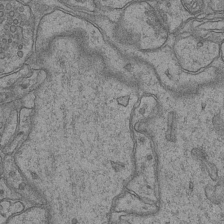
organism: Mouse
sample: CA1 Hippocampus